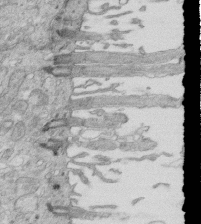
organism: Mouse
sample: Multiciliated cells